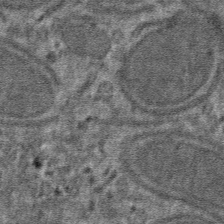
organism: Mouse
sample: Mouse hepatocytes